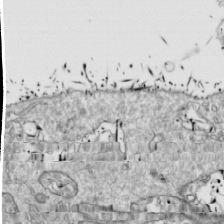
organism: Drosophila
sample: Cell division; meiosis; drosophila spermatocytes